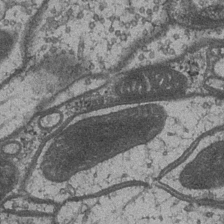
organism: Drosophila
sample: Optic medulla